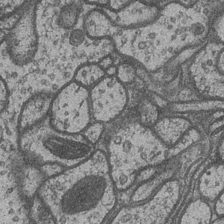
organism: Drosophila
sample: Optic medulla